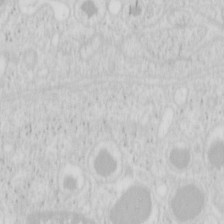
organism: Mouse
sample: Pancreas